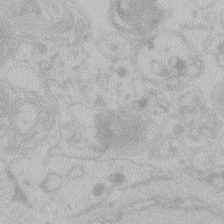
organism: Zebrafish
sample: Macrophage infected with Toxoplasma gondii